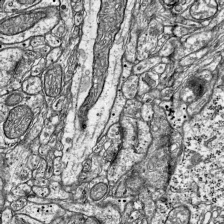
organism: Mouse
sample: Visual Cortex